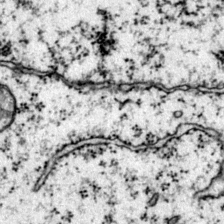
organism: Mouse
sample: Primary visual cortex